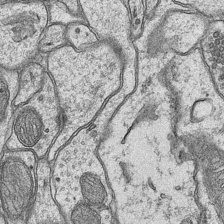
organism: Mouse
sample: CA1 Hippocampus